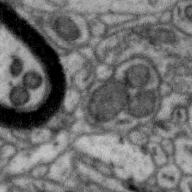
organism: Zebra finch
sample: Brain